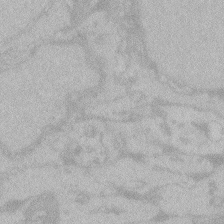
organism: Zebrafish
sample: Macrophage infected with Toxoplasma gondii